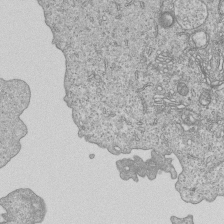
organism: Human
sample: MDA-MB-231 cells